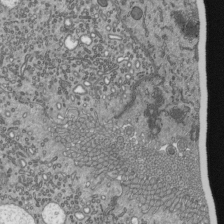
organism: Mouse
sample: Mouse epididymis efferent ductule cilia